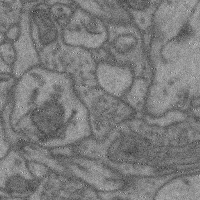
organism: Mouse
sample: Cerebral cortex